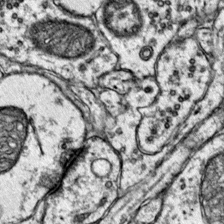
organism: Mouse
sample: Primary visual cortex